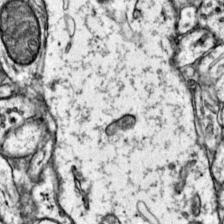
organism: Mouse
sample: Primary visual cortex